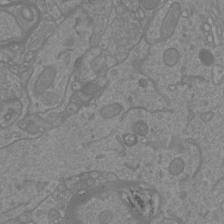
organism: Mouse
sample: Cortical neurons